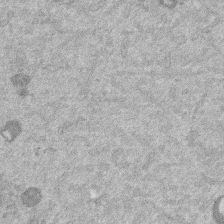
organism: Mouse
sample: Dividing mouse embryo 1 cell stage